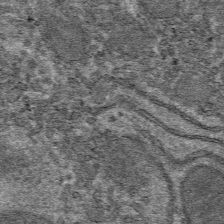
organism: Mouse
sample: Mouse hepatocytes